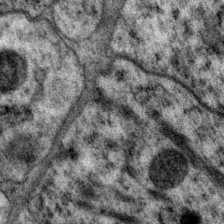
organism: P. pacificus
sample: Pharynx